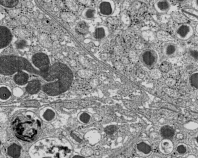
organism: C57BL Mouse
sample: Pancreatic islet